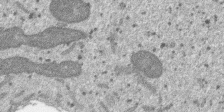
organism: Human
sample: Lung epithelial cells infected with SARS-CoV-2